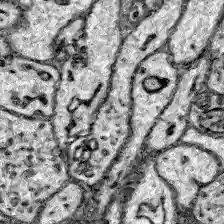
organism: Zebrafish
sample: Brain